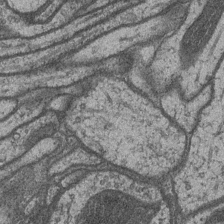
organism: Drosophila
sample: Optic medulla